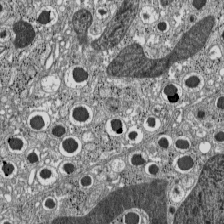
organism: C57BL Mouse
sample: Pancreatic islet